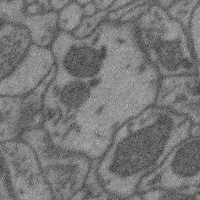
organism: Mouse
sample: Cerebral cortex